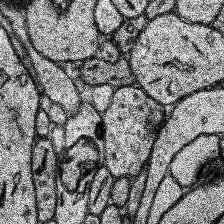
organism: Human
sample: Temporal Lobe